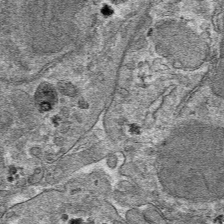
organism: Mouse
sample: Mouse hepatocytes